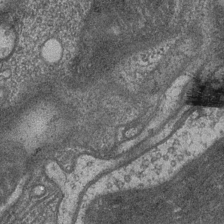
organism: Drosophila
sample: Optic medulla